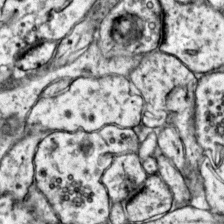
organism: Mouse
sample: Primary visual cortex